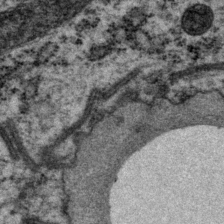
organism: P. pacificus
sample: Pharynx